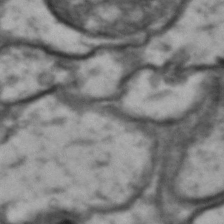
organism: Drosophila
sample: Brain